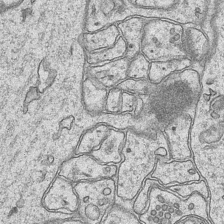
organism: Mouse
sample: CA1 Hippocampus